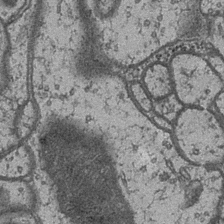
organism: Drosophila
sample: Optic medulla